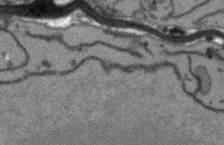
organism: Arabidopsis thaliana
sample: Root tip